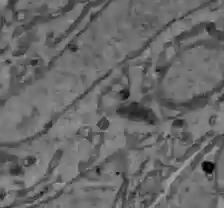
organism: C57BL Mouse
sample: Liver